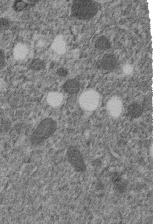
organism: C. elegans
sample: C. elegans embryo early stage